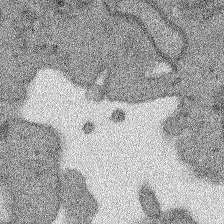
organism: Human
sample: HeLa cells